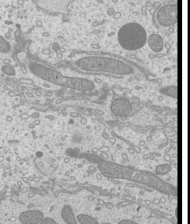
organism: Mouse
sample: Cilia; mouse epididymis